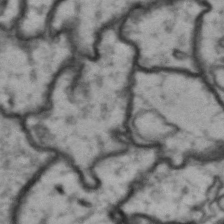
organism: Drosophila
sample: Brain